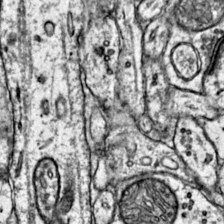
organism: Mouse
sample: Primary visual cortex